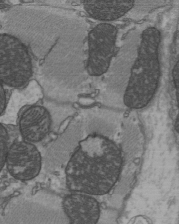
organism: C57BL Mouse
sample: Heart